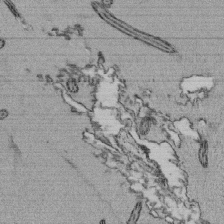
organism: Tetrahymena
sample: Cilia in tetrahymena